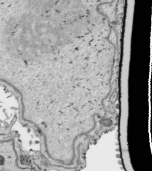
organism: Human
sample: Mitochondria in HCT116 cells